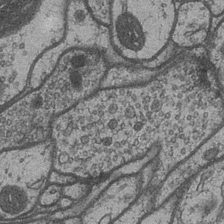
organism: Drosophila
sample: Optic medulla